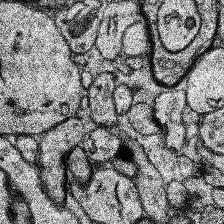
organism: Human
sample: Temporal Lobe